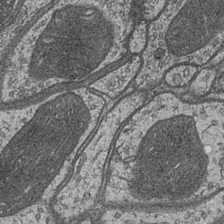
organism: Drosophila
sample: Optic medulla